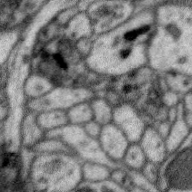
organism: Zebra finch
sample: Brain